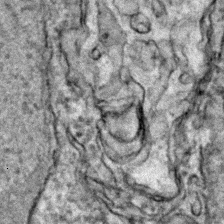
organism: Zebrafish